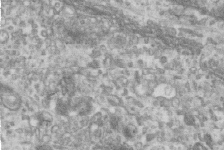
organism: Human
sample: Centriole in RPE cells